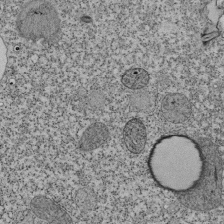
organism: Tetrahymena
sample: Cilia in tetrahymena